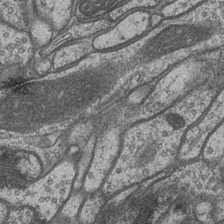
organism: Drosophila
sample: Optic medulla